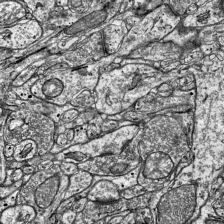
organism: Mouse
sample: Visual Cortex